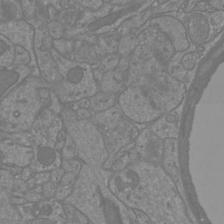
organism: Mouse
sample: Cortical neurons